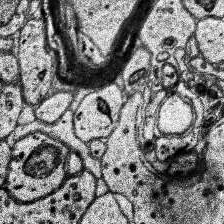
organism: Human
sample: Temporal Lobe